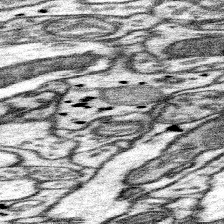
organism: Mouse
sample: Somatosensory cortex neuropil